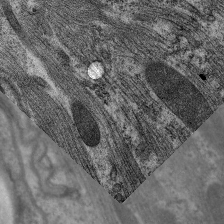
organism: C. elegans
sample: Pharynx